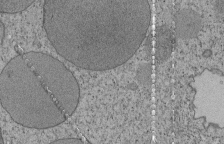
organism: Tetrahymena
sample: Cilia in tetrahymena